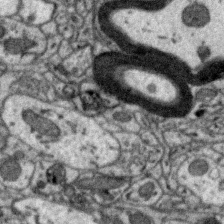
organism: Zebra finch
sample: Brain